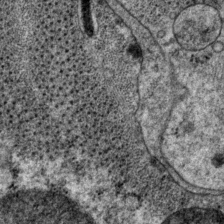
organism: P. pacificus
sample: Pharynx